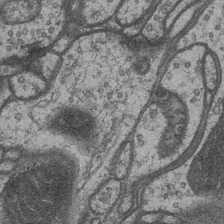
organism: Drosophila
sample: Optic medulla